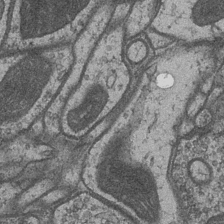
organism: Drosophila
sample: Optic medulla